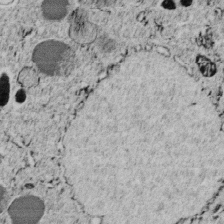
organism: C. elegans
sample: C. elegans embryo early stage